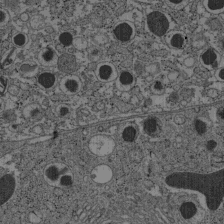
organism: C57BL Mouse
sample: Pancreatic islet